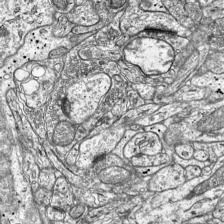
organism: Mouse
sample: Visual Cortex